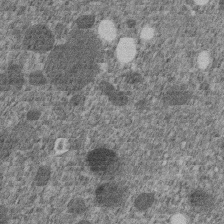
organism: C. elegans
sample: C. elegans embryo early stage